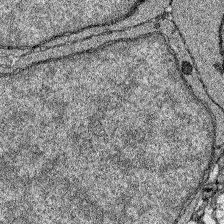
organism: Zebrafish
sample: Larval olfactory bulb